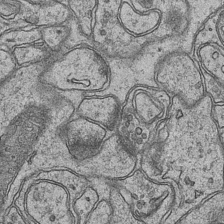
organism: Mouse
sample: CA1 Hippocampus